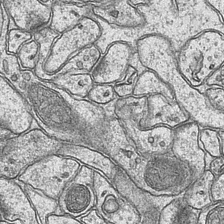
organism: Mouse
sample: CA1 Hippocampus